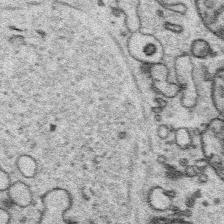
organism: Platynereis dumerilii